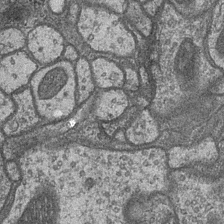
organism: Drosophila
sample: Optic medulla